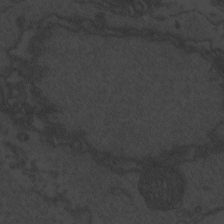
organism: Zebrafish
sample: Macrophage infected with Toxoplasma gondii